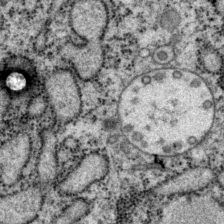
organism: P. pacificus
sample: Pharynx